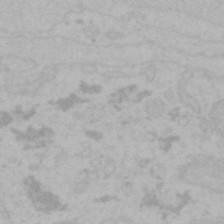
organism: Mouse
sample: Choroid plexus